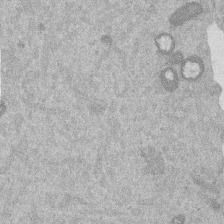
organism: Mouse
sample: Dividing mouse embryo 1 cell stage